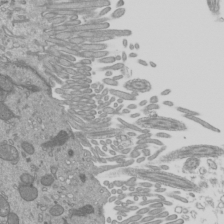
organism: Mouse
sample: Cilia; mouse epididymis